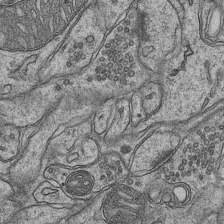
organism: Mouse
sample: CA1 Hippocampus